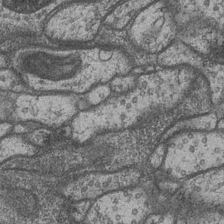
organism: Drosophila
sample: Optic medulla